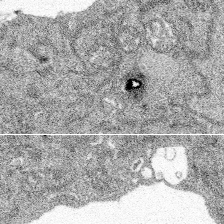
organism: Spongilla lacustris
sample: Multiple